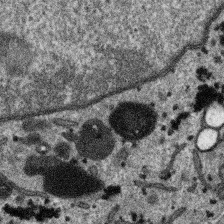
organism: Human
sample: Lung epithelial cells infected with SARS-CoV-2